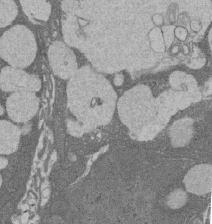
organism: Rat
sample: Salivary granule